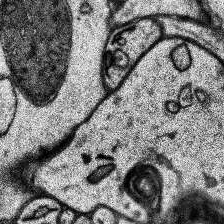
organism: Human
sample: Temporal Lobe